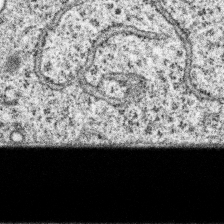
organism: Human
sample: HeLa cells